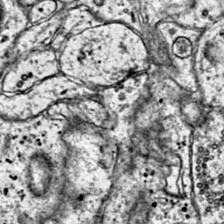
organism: Mouse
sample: Primary visual cortex